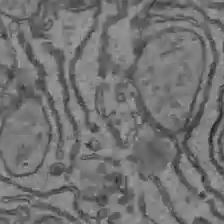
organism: C57BL Mouse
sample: Liver